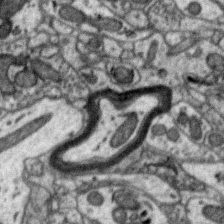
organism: Zebra finch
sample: Brain